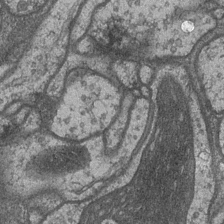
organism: Drosophila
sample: Optic medulla